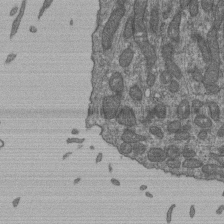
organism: Human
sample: Retinal organoid Rod and Cone cells